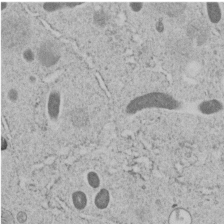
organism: C. elegans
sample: C. elegans embryo early stage